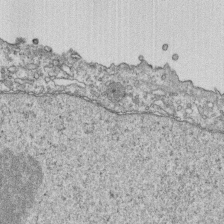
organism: Human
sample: HeLa cell HIV synapse